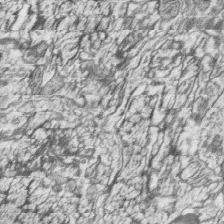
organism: Zebrafish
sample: synaptic ribbons in rod cells and cone cells